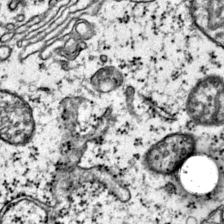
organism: Mouse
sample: Primary visual cortex